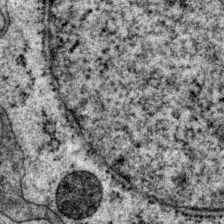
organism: P. pacificus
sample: Pharynx